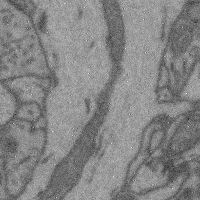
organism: Mouse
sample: Cerebral cortex